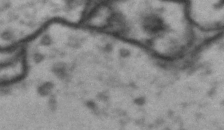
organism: Drosophila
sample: Brain